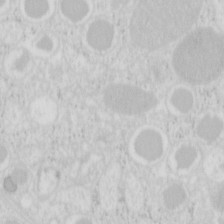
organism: Mouse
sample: Pancreas